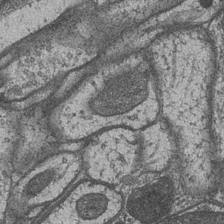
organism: Drosophila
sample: Optic medulla